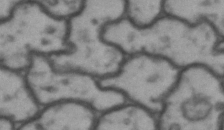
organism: Drosophila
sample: Brain